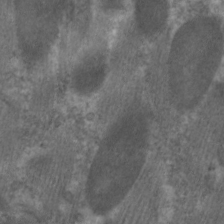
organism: C. elegans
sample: Pharynx